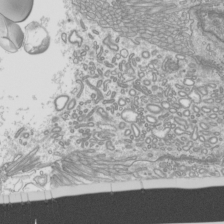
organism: Mouse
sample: Cilia; mouse epididymis